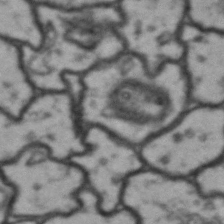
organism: Drosophila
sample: Brain